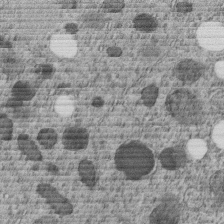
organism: C. elegans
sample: C. elegans embryo early stage